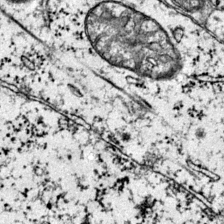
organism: Mouse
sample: Primary visual cortex